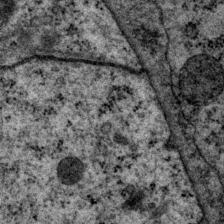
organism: P. pacificus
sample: Pharynx